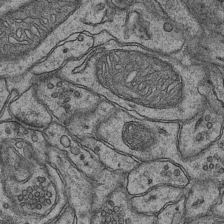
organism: Mouse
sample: CA1 Hippocampus